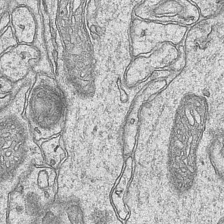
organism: Mouse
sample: CA1 Hippocampus